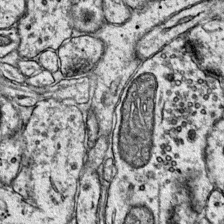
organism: Mouse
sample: Primary visual cortex